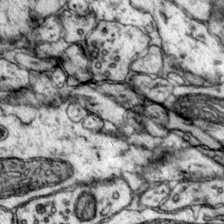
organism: Mouse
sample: Primary visual cortex